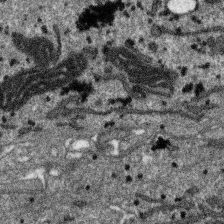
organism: Human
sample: Lung epithelial cells infected with SARS-CoV-2